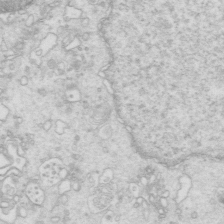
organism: Mouse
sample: Multiciliated cells